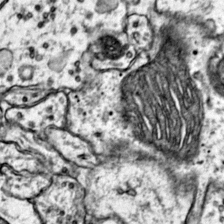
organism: Mouse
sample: Primary visual cortex